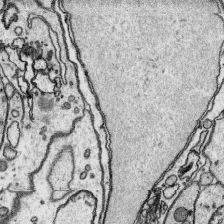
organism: Platynereis dumerilii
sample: Parapodia